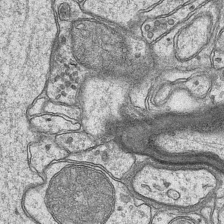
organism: Mouse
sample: CA1 Hippocampus